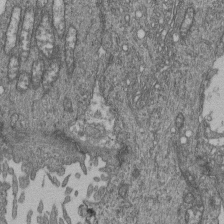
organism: Human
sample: Retinal organoid Rod and Cone cells